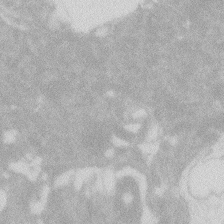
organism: Zebrafish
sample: Macrophage